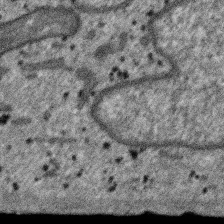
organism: Human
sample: Lung epithelial cells infected with SARS-CoV-2